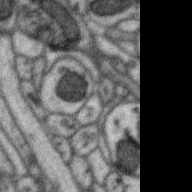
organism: Zebra finch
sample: Brain